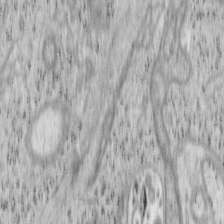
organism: Human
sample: HeLa cells